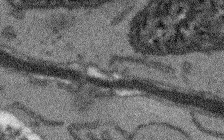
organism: Arabidopsis thaliana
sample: Root tip